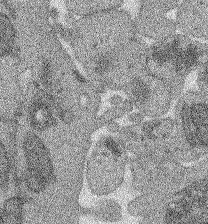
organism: Human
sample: HeLa cells